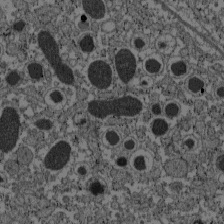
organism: C57BL Mouse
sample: Pancreatic islet